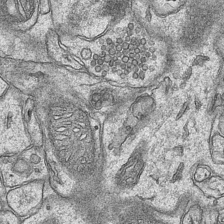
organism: Mouse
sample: CA1 Hippocampus